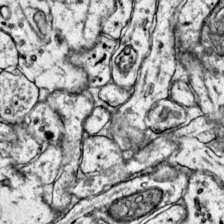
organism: Mouse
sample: Primary visual cortex